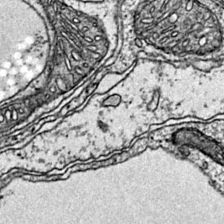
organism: Mouse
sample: Primary visual cortex